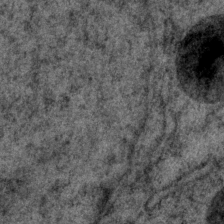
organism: P. pacificus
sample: Pharynx